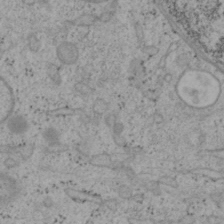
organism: Human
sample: HeLa cells